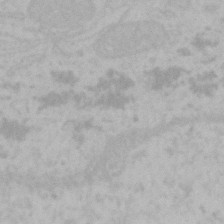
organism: Mouse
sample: Choroid plexus